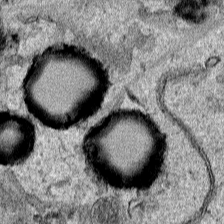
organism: Human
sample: Mitochondria in HCT116 cells